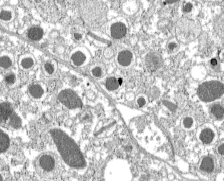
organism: C57BL Mouse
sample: Pancreatic islet